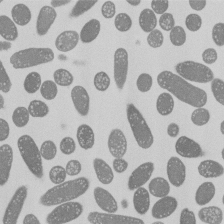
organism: E. coli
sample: Bacterial nucleoid